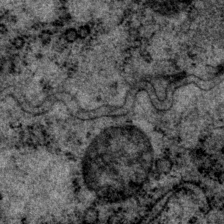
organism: P. pacificus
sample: Pharynx